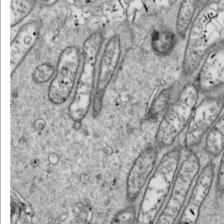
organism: Drosophila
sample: Cell division; meiosis; drosophila spermatocytes